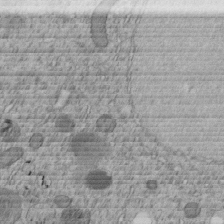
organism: C. elegans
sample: C. elegans embryo early stage